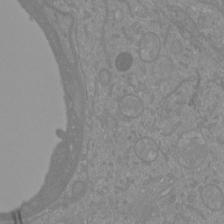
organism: Mouse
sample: Cortical neurons